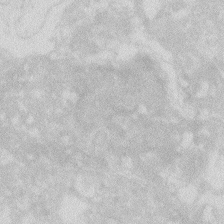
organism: Zebrafish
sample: Macrophage